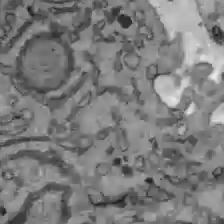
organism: C57BL Mouse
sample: Liver